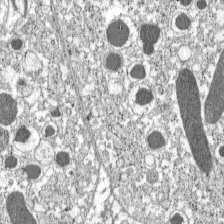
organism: C57BL Mouse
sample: Pancreatic islet